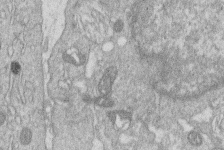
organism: Human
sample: Macrophage cells